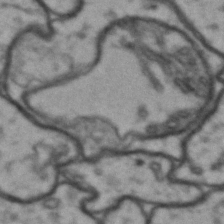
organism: Drosophila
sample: Brain